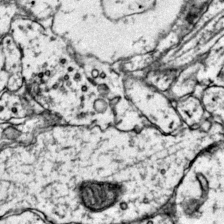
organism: Mouse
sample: Primary visual cortex